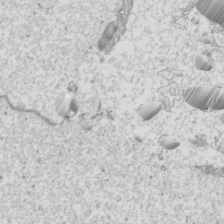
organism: Mouse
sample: Cilia; mouse epididymis